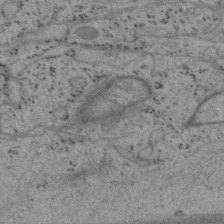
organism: Human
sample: HeLa cells